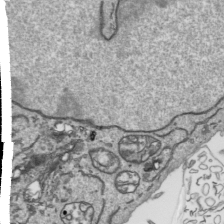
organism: Human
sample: Mitochondria in HCT116 cells